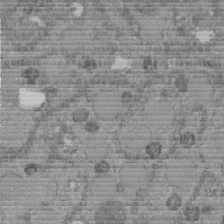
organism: C. elegans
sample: C. elegans embryo early stage